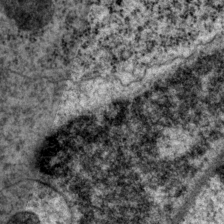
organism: P. pacificus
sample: Pharynx